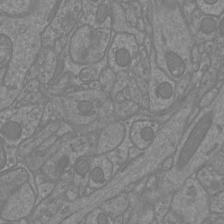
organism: Mouse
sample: Cortical neurons